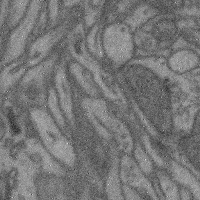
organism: Mouse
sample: Cerebral cortex